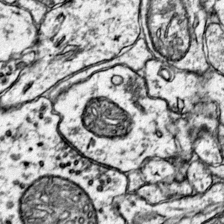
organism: Mouse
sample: Primary visual cortex